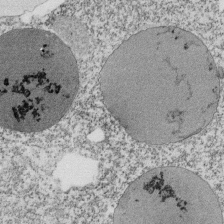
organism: Tetrahymena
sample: Cilia in tetrahymena